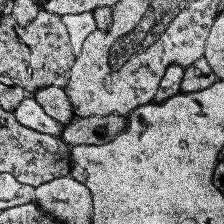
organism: Human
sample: Temporal Lobe